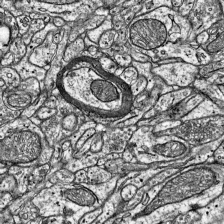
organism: Mouse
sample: Visual Cortex